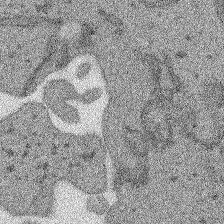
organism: Human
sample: HeLa cells